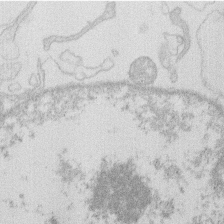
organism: Human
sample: Macrophage cells